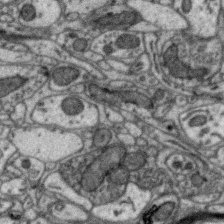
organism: Zebra finch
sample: Brain